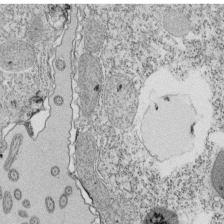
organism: Tetrahymena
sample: Cilia in tetrahymena